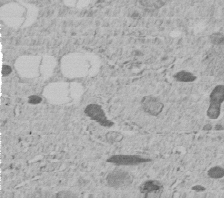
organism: C. elegans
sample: C. elegans embryo early stage